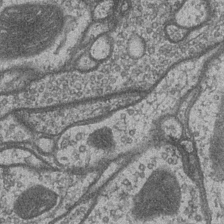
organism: Drosophila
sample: Optic medulla